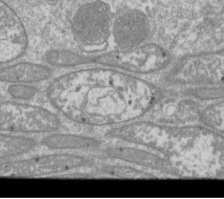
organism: Drosophila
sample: Cell division; meiosis; drosophila spermatocytes